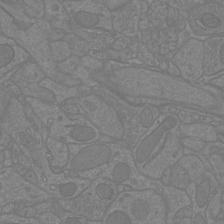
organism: Mouse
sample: Cortical neurons